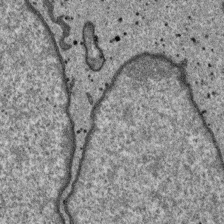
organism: Human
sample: Lung epithelial cells, uninfected (mock) control